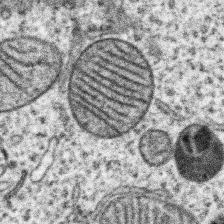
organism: Human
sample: HeLa cells